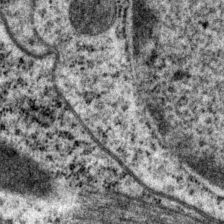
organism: P. pacificus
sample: Pharynx